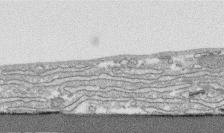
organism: Human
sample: CRL-1474